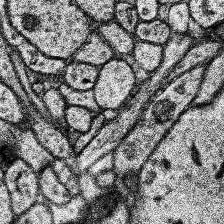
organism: Human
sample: Temporal Lobe